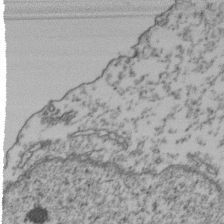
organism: Human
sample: Activated Jurkat CD4+ T cells